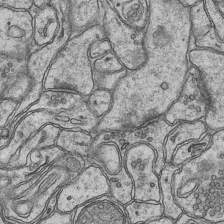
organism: Mouse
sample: CA1 Hippocampus